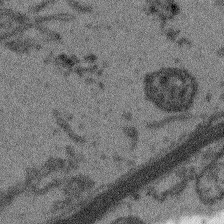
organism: Arabidopsis thaliana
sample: Root tip